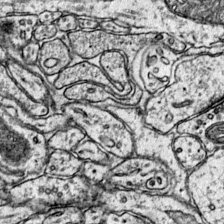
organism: Mouse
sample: Primary visual cortex